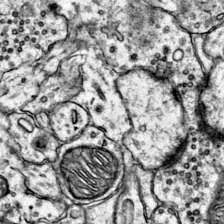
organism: Mouse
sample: Primary visual cortex